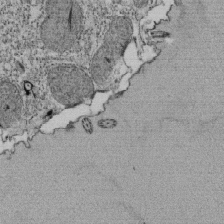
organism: Tetrahymena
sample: Cilia in tetrahymena